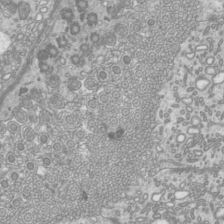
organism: Mouse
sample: Cilia; mouse epididymis